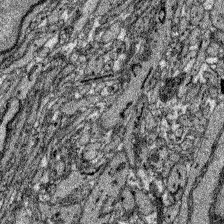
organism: Zebrafish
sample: Larval olfactory bulb